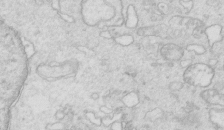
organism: Mouse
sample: Multiciliated cells